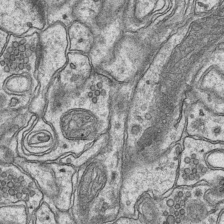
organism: Mouse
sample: CA1 Hippocampus